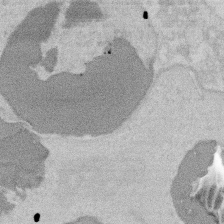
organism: Mouse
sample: T cell stromal cell synapse